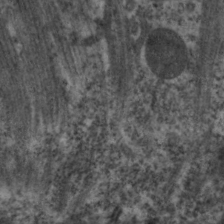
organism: C. elegans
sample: Pharynx